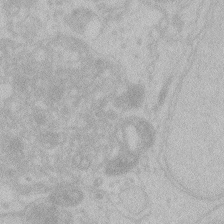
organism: Zebrafish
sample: Macrophage infected with Toxoplasma gondii